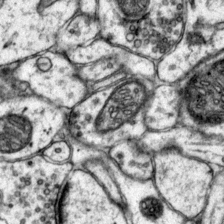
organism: Mouse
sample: Primary visual cortex